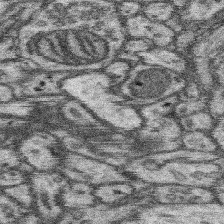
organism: Mouse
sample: Somatosensory cortex neuropil